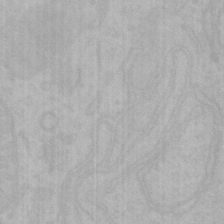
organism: Mouse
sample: Choroid plexus